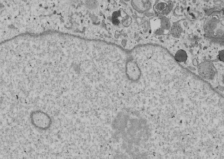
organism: Human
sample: Mitochondria in U2OS cells